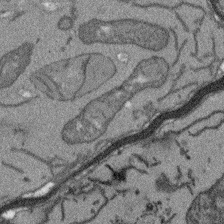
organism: Arabidopsis thaliana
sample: Root tip